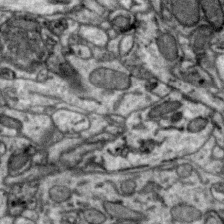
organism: Zebra finch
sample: Brain